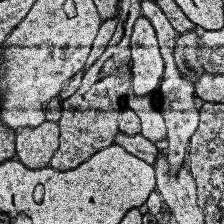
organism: Human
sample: Temporal Lobe